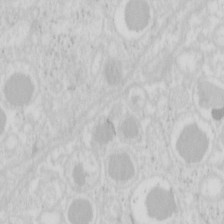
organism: Mouse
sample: Pancreas